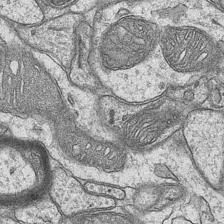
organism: Mouse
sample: CA1 Hippocampus